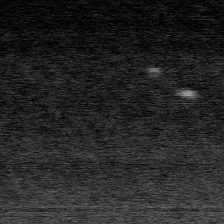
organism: Human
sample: HeLa cells